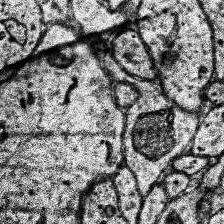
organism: Human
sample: Temporal Lobe